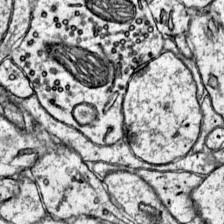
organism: Mouse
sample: Primary visual cortex